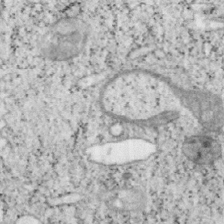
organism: Mouse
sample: OT-I killer T cells with ID8 ovarian cancer cells